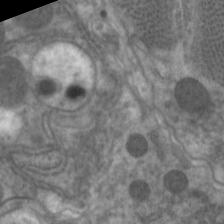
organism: C. elegans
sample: Pharynx